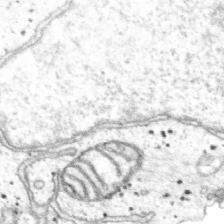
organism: Human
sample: HeLa cells